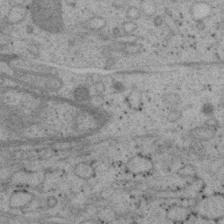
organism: Human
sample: HeLa cells